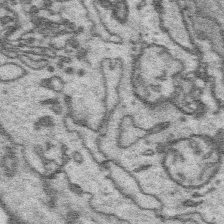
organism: Platynereis dumerilii